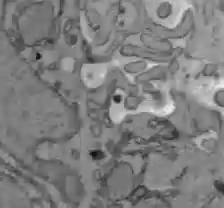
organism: C57BL Mouse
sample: Liver